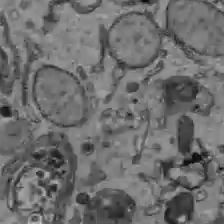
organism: C57BL Mouse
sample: Liver